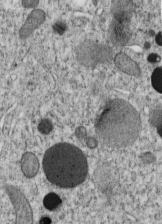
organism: C. elegans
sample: C. elegans embryo early stage